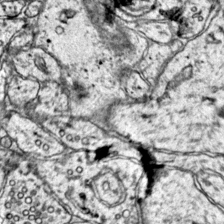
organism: Mouse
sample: Primary visual cortex